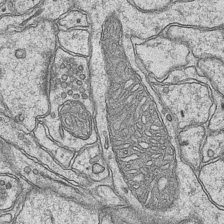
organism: Mouse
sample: CA1 Hippocampus